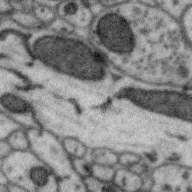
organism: Zebra finch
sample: Brain